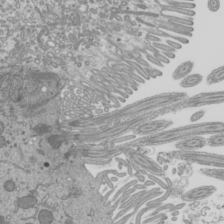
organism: Mouse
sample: Cilia; mouse epididymis